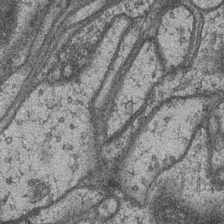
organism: Drosophila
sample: Optic medulla